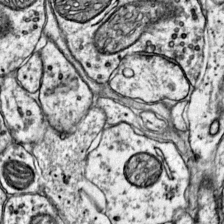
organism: Mouse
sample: Primary visual cortex